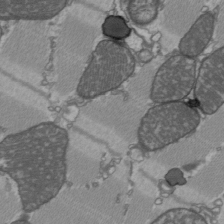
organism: C57BL Mouse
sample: Heart